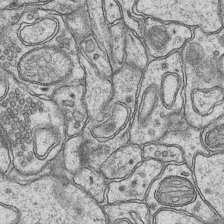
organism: Mouse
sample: CA1 Hippocampus